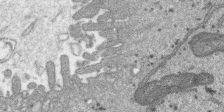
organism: Human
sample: Lung epithelial cells infected with SARS-CoV-2